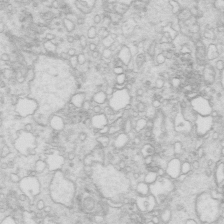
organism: Mouse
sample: Multiciliated cells